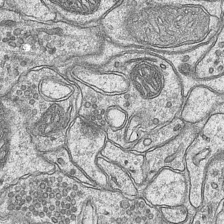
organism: Mouse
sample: CA1 Hippocampus